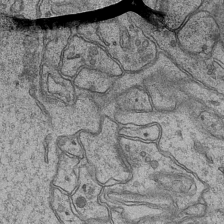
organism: Mouse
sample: CA1 Hippocampus